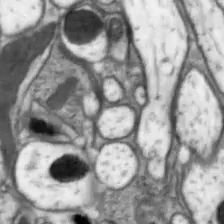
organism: Drosophila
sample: Optic lobe